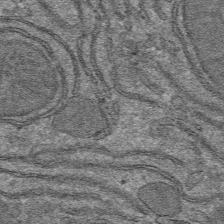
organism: Mouse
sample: Mouse hepatocytes